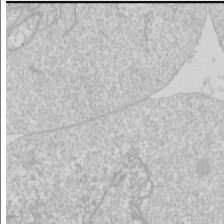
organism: Drosophila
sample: Cell division; meiosis; drosophila spermatocytes